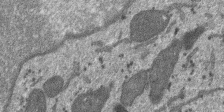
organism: Human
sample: Lung epithelial cells infected with SARS-CoV-2